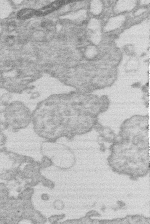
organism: Human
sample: Macrophage cells